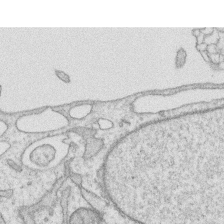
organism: Human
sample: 1205lu cells